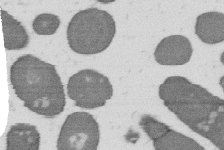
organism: B. subtilis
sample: Bacterial spore